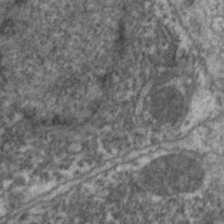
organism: C. elegans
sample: Pharynx